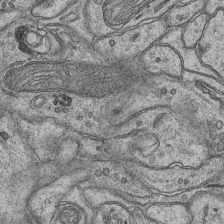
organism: Mouse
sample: CA1 Hippocampus